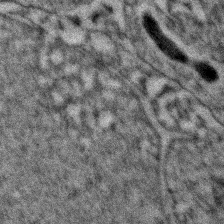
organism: Zebrafish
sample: Zebrafish embryo